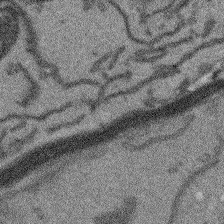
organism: Arabidopsis thaliana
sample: Root tip